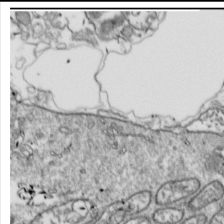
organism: Drosophila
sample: Cell division; meiosis; drosophila spermatocytes